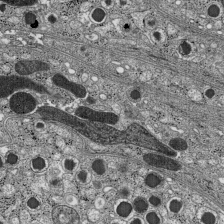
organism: C57BL Mouse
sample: Pancreatic islet